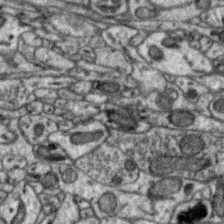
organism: Zebra finch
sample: Brain